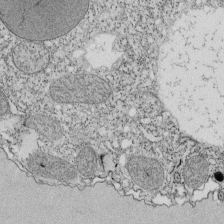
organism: Tetrahymena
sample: Cilia in tetrahymena